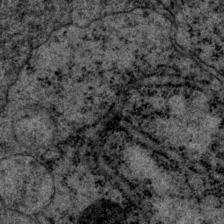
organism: P. pacificus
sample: Pharynx